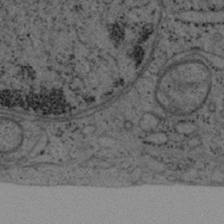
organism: Human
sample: HeLa cells